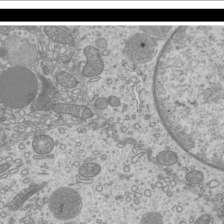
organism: Mouse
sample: Cilia; mouse epididymis